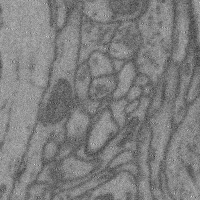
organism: Mouse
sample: Cerebral cortex